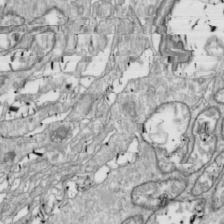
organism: Drosophila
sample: Cell division; meiosis; drosophila spermatocytes